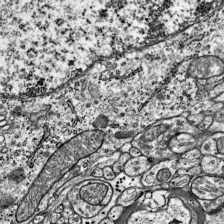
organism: Mouse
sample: Visual Cortex